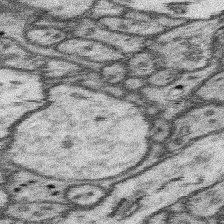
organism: Mouse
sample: Somatosensory cortex neuropil